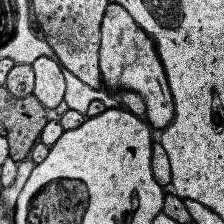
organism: Human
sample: Temporal Lobe